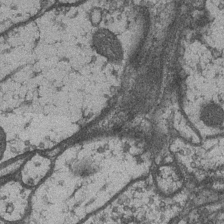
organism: Drosophila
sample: Optic medulla